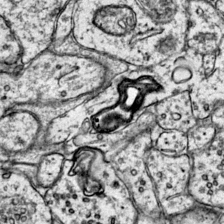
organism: Mouse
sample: Primary visual cortex